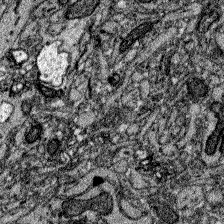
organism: Zebrafish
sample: Larval olfactory bulb